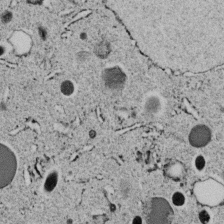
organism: C. elegans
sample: C. elegans embryo early stage